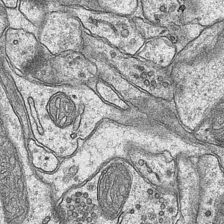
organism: Mouse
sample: CA1 Hippocampus